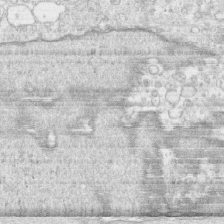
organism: Human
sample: CRL-1474